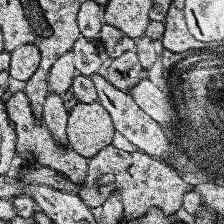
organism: Human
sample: Temporal Lobe